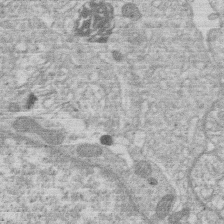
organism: Human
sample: Macrophage cells